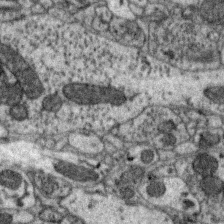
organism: Zebra finch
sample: Brain